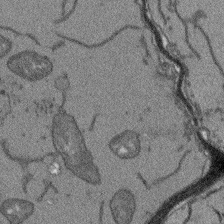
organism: Arabidopsis thaliana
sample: Root tip